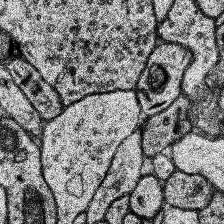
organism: Human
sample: Temporal Lobe